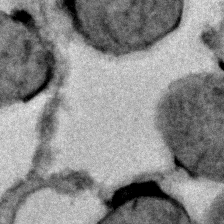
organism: C. elegans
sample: C. elegans embryo